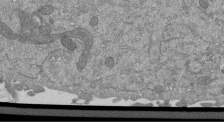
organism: Mouse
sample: ED-1 cell nuclei; centrioles